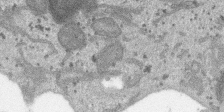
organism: Human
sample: Lung epithelial cells infected with SARS-CoV-2